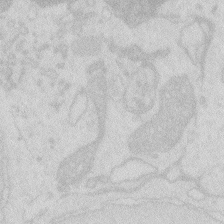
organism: Zebrafish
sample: Macrophage